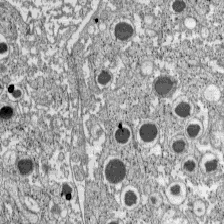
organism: C57BL Mouse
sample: Pancreatic islet